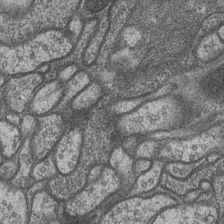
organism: Drosophila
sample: Optic medulla